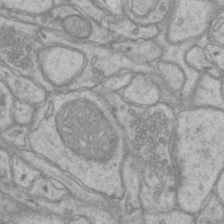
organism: Mouse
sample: CA1 Hippocampus